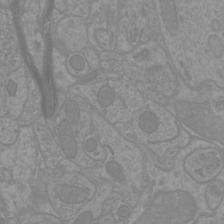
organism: Mouse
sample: Cortical neurons